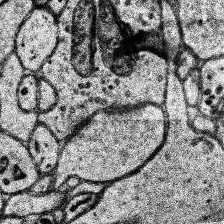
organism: Human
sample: Temporal Lobe